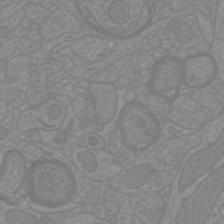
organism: Mouse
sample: Cortical neurons